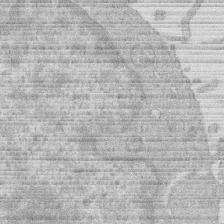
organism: Human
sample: Macrophage cells